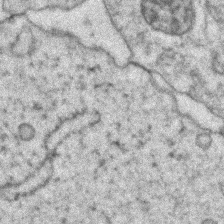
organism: Zebrafish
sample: Zebrafish embryo